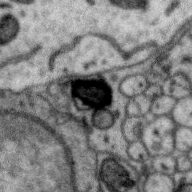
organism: Zebra finch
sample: Brain